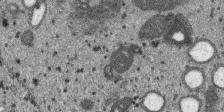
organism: Human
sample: Lung epithelial cells infected with SARS-CoV-2